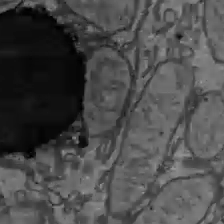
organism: C57BL Mouse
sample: Liver